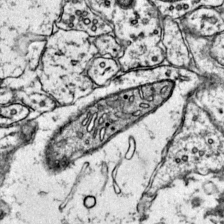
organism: Mouse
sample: Primary visual cortex